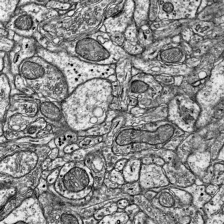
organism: Mouse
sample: Visual Cortex